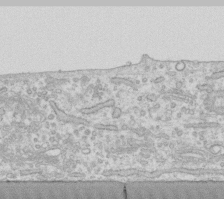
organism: Human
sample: Fibroblast cells